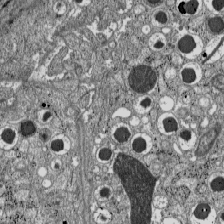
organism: C57BL Mouse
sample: Pancreatic islet